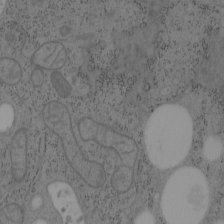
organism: Mouse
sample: OT-I killer T cells with ID8 ovarian cancer cells